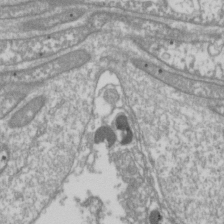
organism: Drosophila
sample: Cell division; meiosis; drosophila spermatocytes